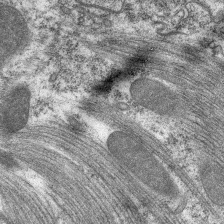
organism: C. elegans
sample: Pharynx